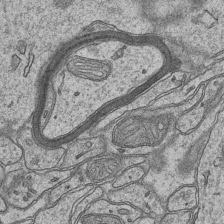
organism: Mouse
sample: CA1 Hippocampus